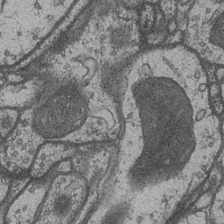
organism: Drosophila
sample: Optic medulla